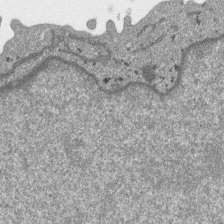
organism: Human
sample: Lung epithelial cells infected with SARS-CoV-2